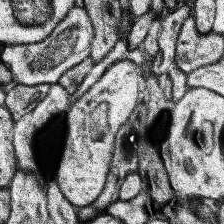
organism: Human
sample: Temporal Lobe